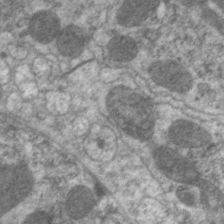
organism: C. elegans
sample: Pharynx